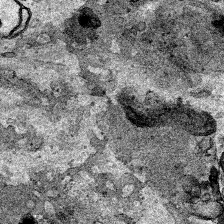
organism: Human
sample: Mitochondria in HCT116 cells